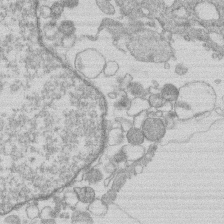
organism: Human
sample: Macrophage cells